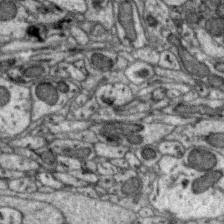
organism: Zebra finch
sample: Brain